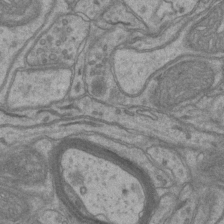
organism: Mouse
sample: CA1 Hippocampus